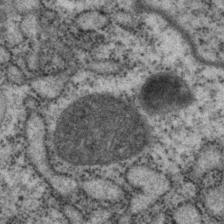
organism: P. pacificus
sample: Pharynx